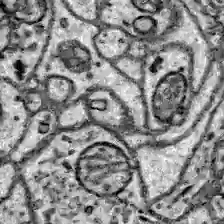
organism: Zebrafish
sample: Brain